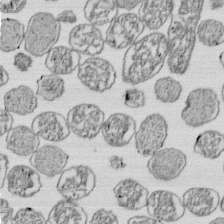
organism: E. coli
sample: Bacterial nucleoid